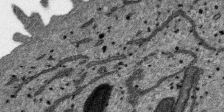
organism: Human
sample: Lung epithelial cells, uninfected (mock) control